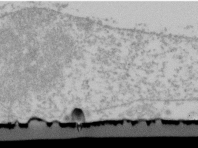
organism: Human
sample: U2-OS cells